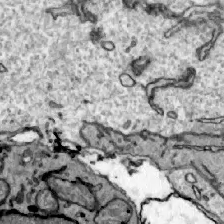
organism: Zebrafish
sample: Actinotrichia fibers